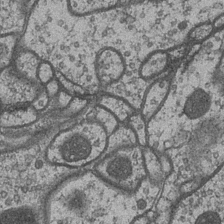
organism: Drosophila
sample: Optic medulla